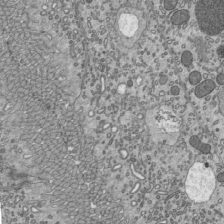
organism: Mouse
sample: Mouse epididymis efferent ductule cilia